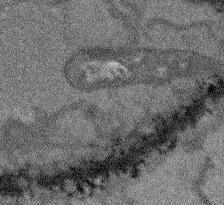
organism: Arabidopsis thaliana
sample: Root tip